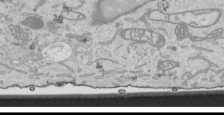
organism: Human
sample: Mitochondria in HCT116 cells